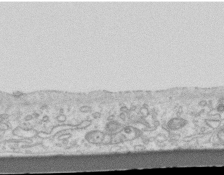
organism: Mouse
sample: Centriole in ependymal cells